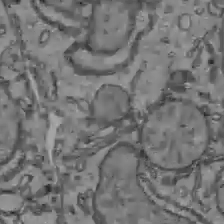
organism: C57BL Mouse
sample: Liver